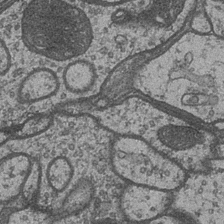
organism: Drosophila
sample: Optic medulla